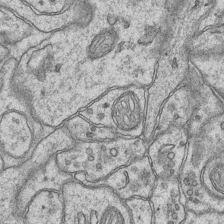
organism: Mouse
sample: CA1 Hippocampus